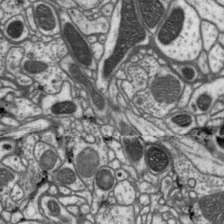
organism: Drosophila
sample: Protocerebral bridge